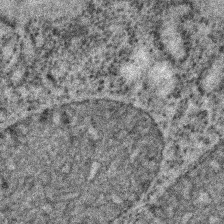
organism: C. elegans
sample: C. elegans embryo